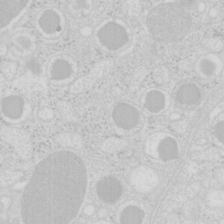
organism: Mouse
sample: Pancreas